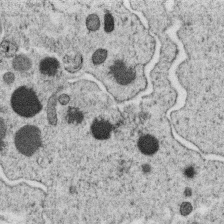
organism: C. elegans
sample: C. elegans oocyte; sperm cells